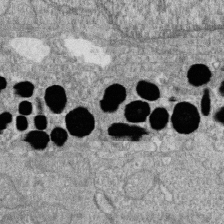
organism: Zebrafish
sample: Cilia; retinal pigment epithelium